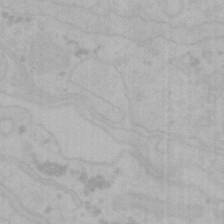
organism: Mouse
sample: Choroid plexus